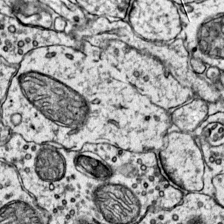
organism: Mouse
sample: Primary visual cortex